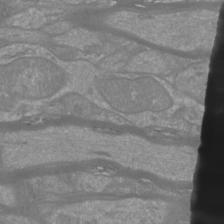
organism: Mouse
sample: Cortical neurons